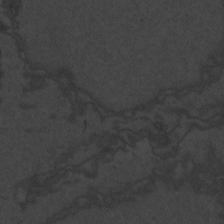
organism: Zebrafish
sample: Macrophage infected with Toxoplasma gondii